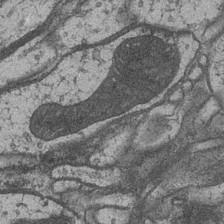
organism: Drosophila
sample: Optic medulla